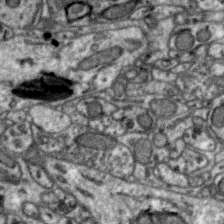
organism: Zebra finch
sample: Brain